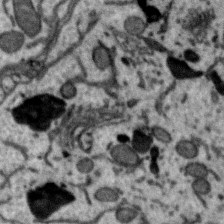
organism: Zebra finch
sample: Brain